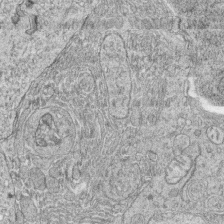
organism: Zebrafish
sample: synaptic ribbons in rod cells and cone cells